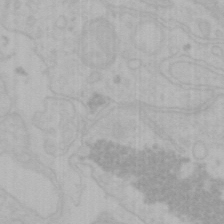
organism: Mouse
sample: Choroid plexus